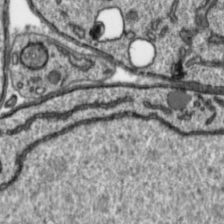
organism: Toxoplasma gondii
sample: Parasites in a vacuole inside a host cell